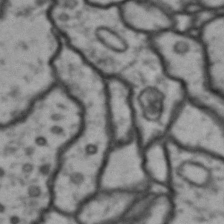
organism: Drosophila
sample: Brain